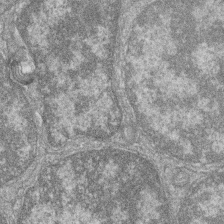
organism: Zebrafish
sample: Cilia; retinal pigment epithelium